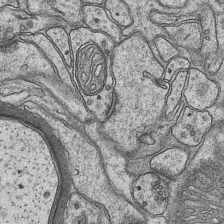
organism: Mouse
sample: CA1 Hippocampus